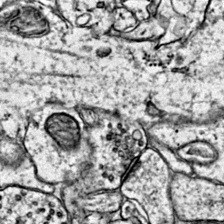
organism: Mouse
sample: Primary visual cortex